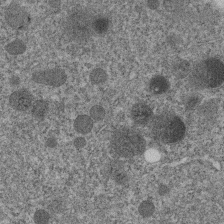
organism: C. elegans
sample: C. elegans embryo early stage